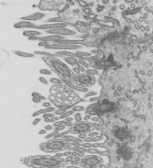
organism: Mouse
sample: Mouse epididymis efferent ductule cilia